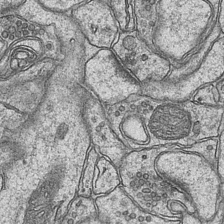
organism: Mouse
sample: CA1 Hippocampus